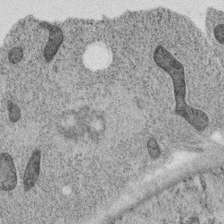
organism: C. elegans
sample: C. elegans oocyte; sperm cells